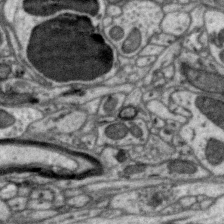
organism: Zebra finch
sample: Brain